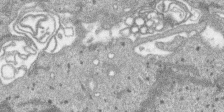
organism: Human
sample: Lung epithelial cells infected with SARS-CoV-2